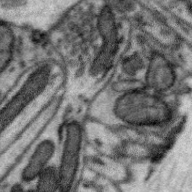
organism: Zebra finch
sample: Brain